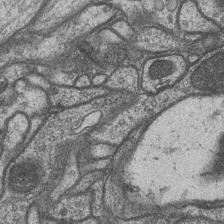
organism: Drosophila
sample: Optic medulla